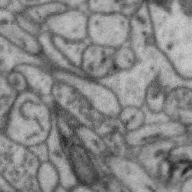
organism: Zebra finch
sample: Brain